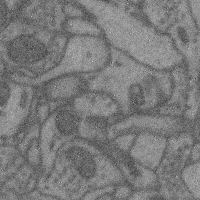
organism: Mouse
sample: Cerebral cortex